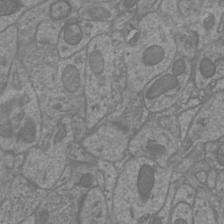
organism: Mouse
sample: Cortical neurons